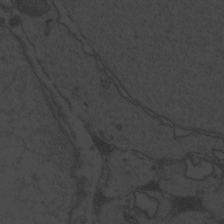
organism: Zebrafish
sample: Macrophage infected with Toxoplasma gondii